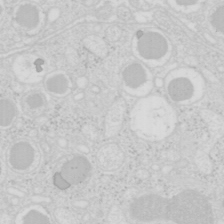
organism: Mouse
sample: Pancreas